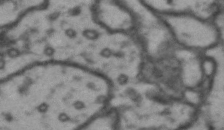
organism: Drosophila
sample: Brain